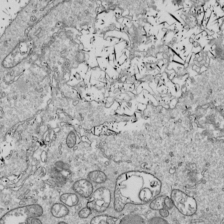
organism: Drosophila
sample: Cell division; meiosis; drosophila spermatocytes